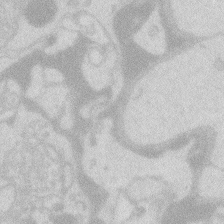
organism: Zebrafish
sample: Macrophage